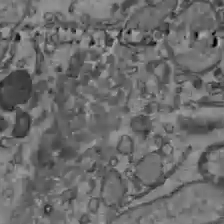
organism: C57BL Mouse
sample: Liver